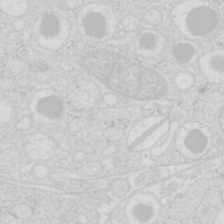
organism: Mouse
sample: Pancreas